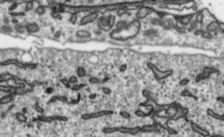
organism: Toxoplasma gondii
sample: Parasites in a vacuole inside a host cell